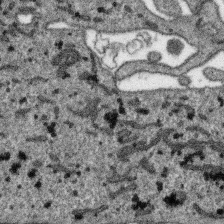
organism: Human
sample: Lung epithelial cells infected with SARS-CoV-2